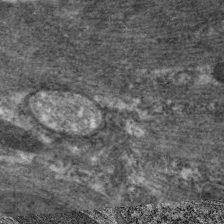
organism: C. elegans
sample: Pharynx